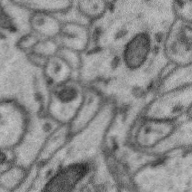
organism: Zebra finch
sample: Brain